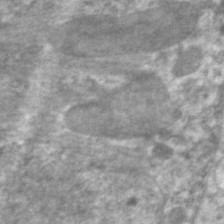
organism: C. elegans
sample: Pharynx